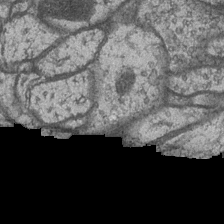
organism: Drosophila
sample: Optic medulla